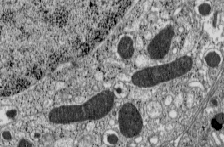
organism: C57BL Mouse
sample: Pancreatic islet